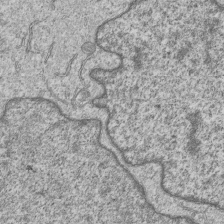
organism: Human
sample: MDA-MB-231 cells